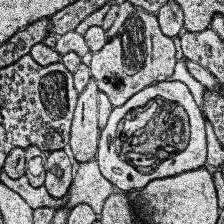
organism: Human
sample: Temporal Lobe